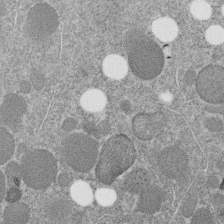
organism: C. elegans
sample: C. elegans embryo early stage